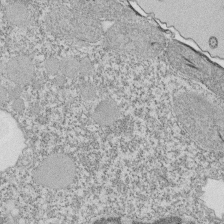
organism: Tetrahymena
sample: Cilia in tetrahymena